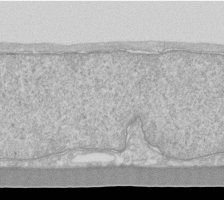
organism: Human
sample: Fibroblast cells